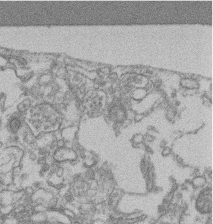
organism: Mouse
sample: T cell stromal cell synapse